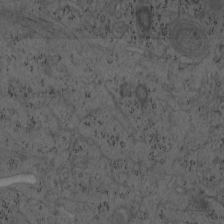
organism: Mouse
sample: OT-I killer T cells with ID8 ovarian cancer cells